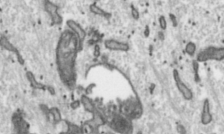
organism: Toxoplasma gondii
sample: Parasites in a vacuole inside a host cell